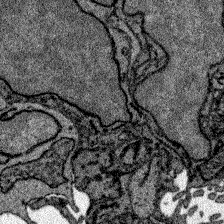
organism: Zebrafish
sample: Larval olfactory bulb